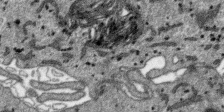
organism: Human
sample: Lung epithelial cells, uninfected (mock) control